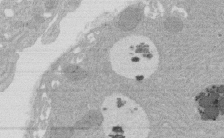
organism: Rat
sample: Salivary granule